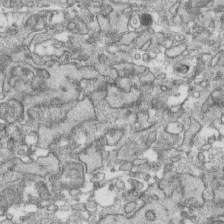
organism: Human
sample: CRL-1474